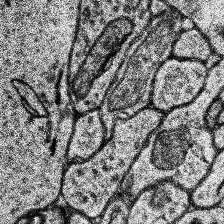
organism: Human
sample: Temporal Lobe